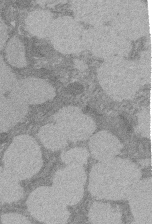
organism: Rat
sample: Salivary granule